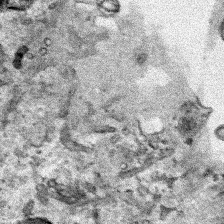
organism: Human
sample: Mitochondria in HCT116 cells